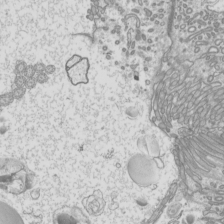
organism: Mouse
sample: Cilia; mouse epididymis